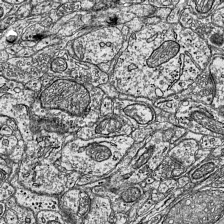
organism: Mouse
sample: Visual Cortex